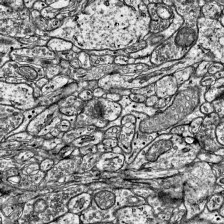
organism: Mouse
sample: Visual Cortex